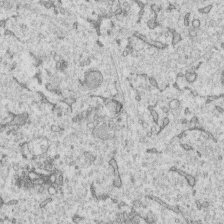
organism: Human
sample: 1205lu cells